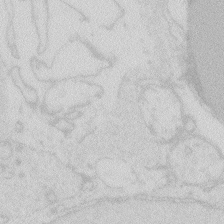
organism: Zebrafish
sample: Macrophage